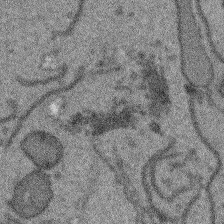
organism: Arabidopsis thaliana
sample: Root tip